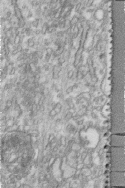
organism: Human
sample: Centriole in fibroblast cells